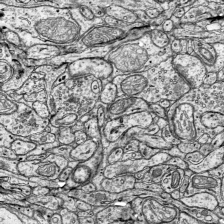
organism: Mouse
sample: Visual Cortex